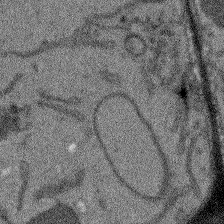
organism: Arabidopsis thaliana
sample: Root tip